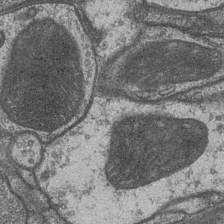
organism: Drosophila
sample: Optic medulla